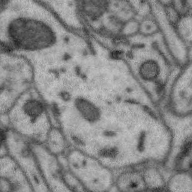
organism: Zebra finch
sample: Brain